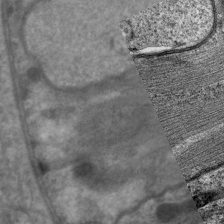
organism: C. elegans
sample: Pharynx